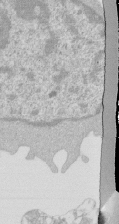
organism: Mouse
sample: Activated Pmel transgenic CD8+ T Cells